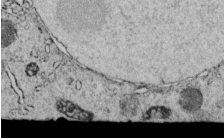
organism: C. elegans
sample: C. elegans embryo early stage